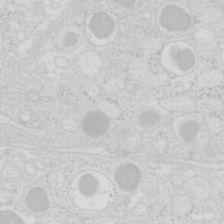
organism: Mouse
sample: Pancreas